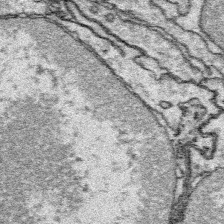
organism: Platynereis dumerilii